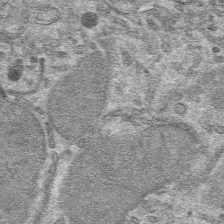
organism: Mouse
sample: Mouse hepatocytes